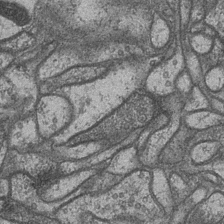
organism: Drosophila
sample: Optic medulla